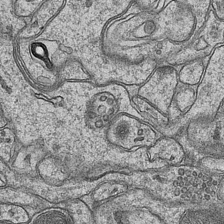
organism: Mouse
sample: CA1 Hippocampus